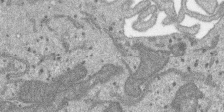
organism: Human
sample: Lung epithelial cells infected with SARS-CoV-2